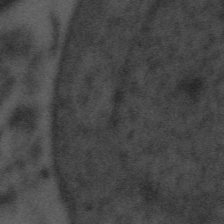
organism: Tuwongella immobilis